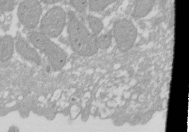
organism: Xenopus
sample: Cilia; centrioles in frog embryo cells